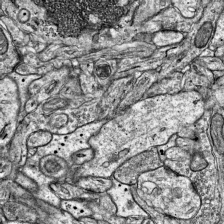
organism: Mouse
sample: Visual Cortex